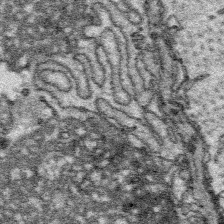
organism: Platynereis dumerilii